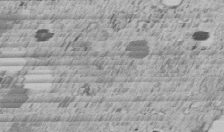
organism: C. elegans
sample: C. elegans embryo early stage